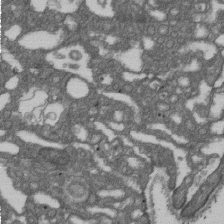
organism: Drosophila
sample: Nephrocyte